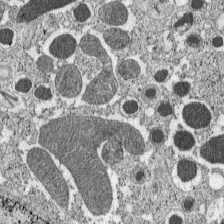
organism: C57BL Mouse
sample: Pancreatic islet